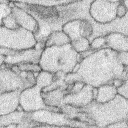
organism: Rabbit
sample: Retina